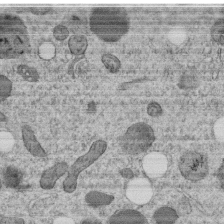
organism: C. elegans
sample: C. elegans embryo early stage